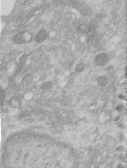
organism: Human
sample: Centriole in RPE cells